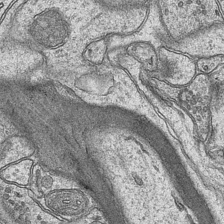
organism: Mouse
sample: CA1 Hippocampus